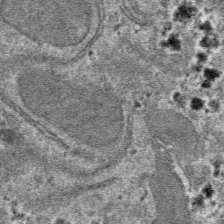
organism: Mouse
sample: Mouse hepatocytes